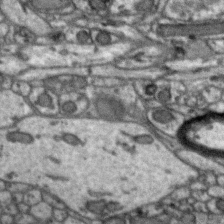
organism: Zebra finch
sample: Brain